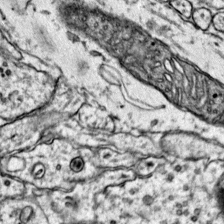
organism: Mouse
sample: Primary visual cortex